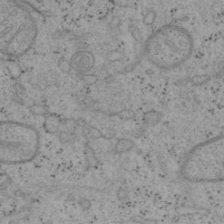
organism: Human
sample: HeLa cells